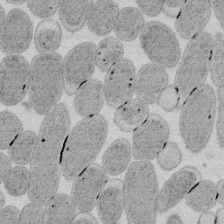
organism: E. coli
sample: Bacterial nucleoid